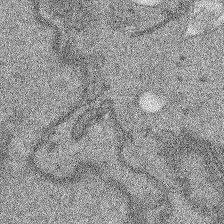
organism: Human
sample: HeLa cells